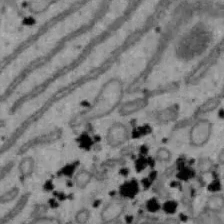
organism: Mouse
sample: Liver